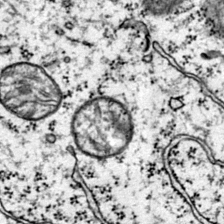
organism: Mouse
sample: Primary visual cortex